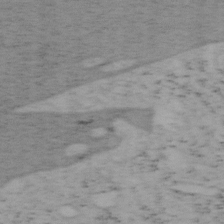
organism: Mouse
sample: OT-I killer T cells with ID8 ovarian cancer cells